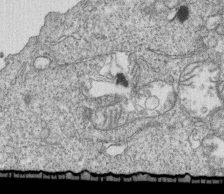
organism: Human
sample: HeLa cell HIV synapse